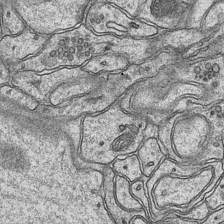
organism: Mouse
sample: CA1 Hippocampus